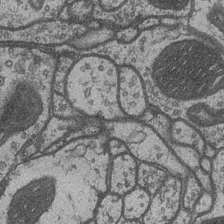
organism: Drosophila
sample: Optic medulla